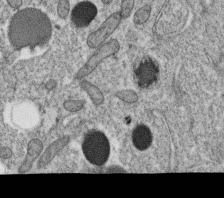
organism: C. elegans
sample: C. elegans oocyte; sperm cells